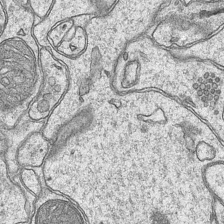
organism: Mouse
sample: CA1 Hippocampus